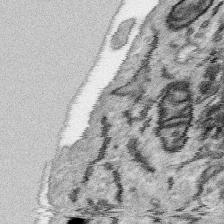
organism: Human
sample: HeLa cells